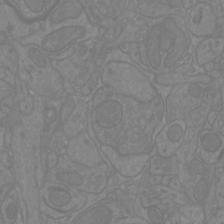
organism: Mouse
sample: Cortical neurons